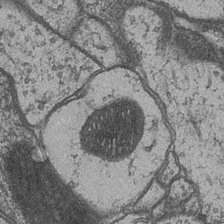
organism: Drosophila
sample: Optic medulla